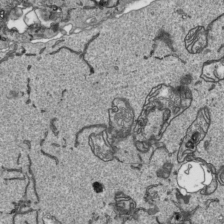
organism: Human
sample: Mitochondria in HCT116 cells